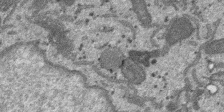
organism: Human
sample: Lung epithelial cells infected with SARS-CoV-2